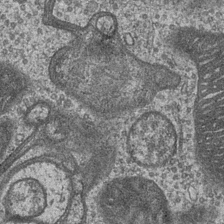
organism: Drosophila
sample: Optic medulla